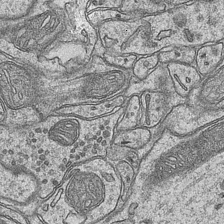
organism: Mouse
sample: CA1 Hippocampus